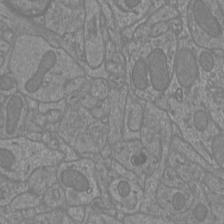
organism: Mouse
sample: Cortical neurons